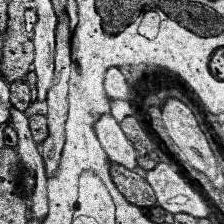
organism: Human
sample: Temporal Lobe